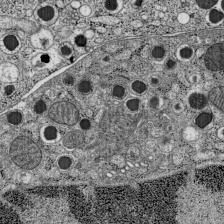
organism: C57BL Mouse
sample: Pancreatic islet